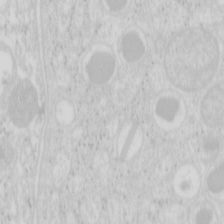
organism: Mouse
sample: Pancreas